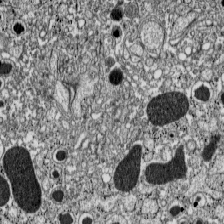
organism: C57BL Mouse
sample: Pancreatic islet